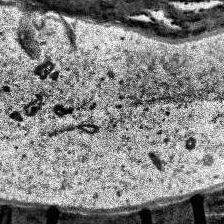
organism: Human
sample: Temporal Lobe